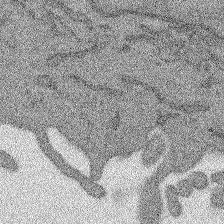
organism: Human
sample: HeLa cells